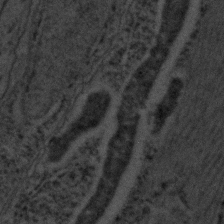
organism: C. elegans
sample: C. elegans embryo